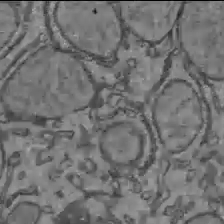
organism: C57BL Mouse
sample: Liver